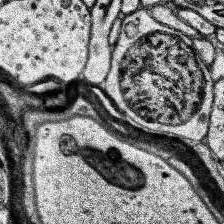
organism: Human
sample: Temporal Lobe